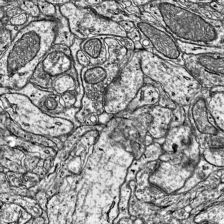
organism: Mouse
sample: Visual Cortex